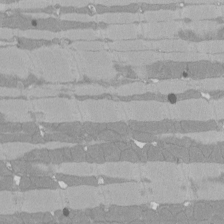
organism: Rat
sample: Left ventricle